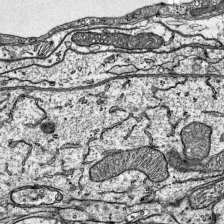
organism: Mouse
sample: Visual Cortex